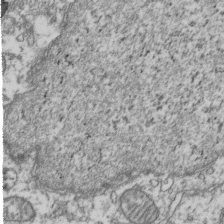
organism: Human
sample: Activated Jurkat CD4+ T cells